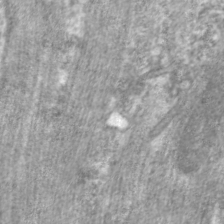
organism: C. elegans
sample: Pharynx